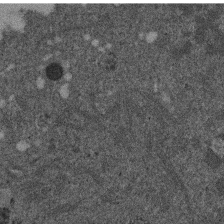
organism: Mouse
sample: Dividing mouse embryo 1 cell stage